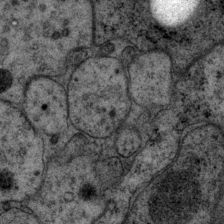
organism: P. pacificus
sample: Pharynx